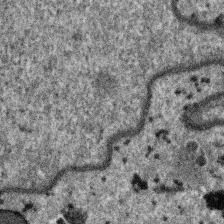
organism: Human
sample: Lung epithelial cells infected with SARS-CoV-2